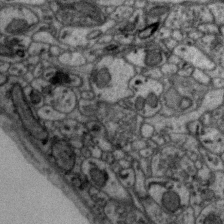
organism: Zebra finch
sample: Brain